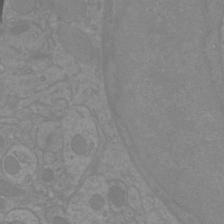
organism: Mouse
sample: Cortical neurons